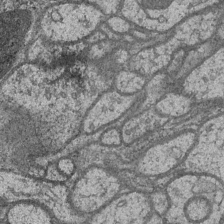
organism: Drosophila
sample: Optic medulla